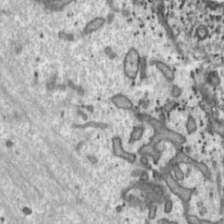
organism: Toxoplasma gondii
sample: Parasites in a vacuole inside a host cell